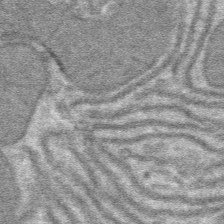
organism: Mouse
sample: Mouse hepatocytes